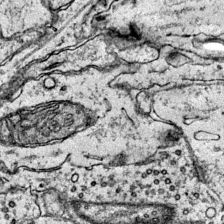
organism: Mouse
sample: Primary visual cortex